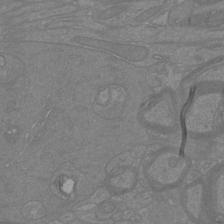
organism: Mouse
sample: Cortical neurons